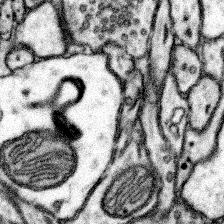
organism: Mouse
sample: Somatosensory cortex neuropil